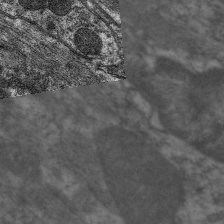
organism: C. elegans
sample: Pharynx